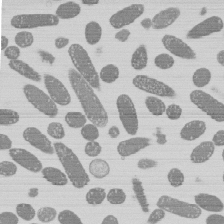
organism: E. coli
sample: Bacterial nucleoid